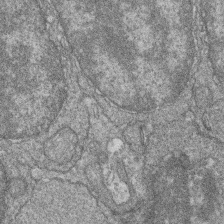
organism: Zebrafish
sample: Cilia; retinal pigment epithelium